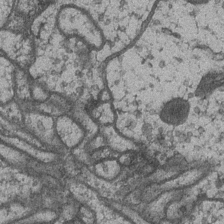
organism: Drosophila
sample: Optic medulla